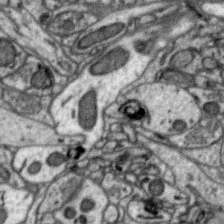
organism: Zebra finch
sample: Brain